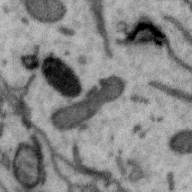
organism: Zebra finch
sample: Brain